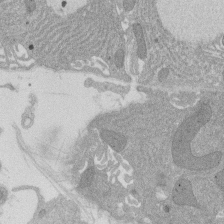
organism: Rat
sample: Salivary granule